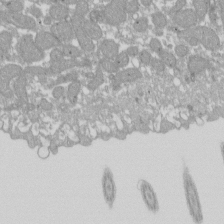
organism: Xenopus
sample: Cilia; centrioles in frog embryo cells